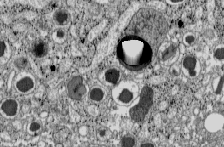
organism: C57BL Mouse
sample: Pancreatic islet